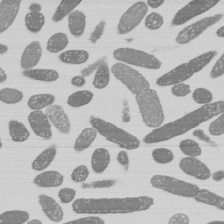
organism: E. coli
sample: Bacterial nucleoid